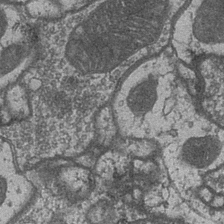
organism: Drosophila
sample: Optic medulla